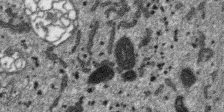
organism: Human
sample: Lung epithelial cells infected with SARS-CoV-2